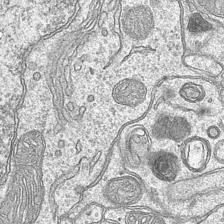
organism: Mouse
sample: CA1 Hippocampus